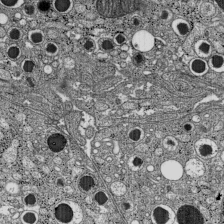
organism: C57BL Mouse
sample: Pancreatic islet